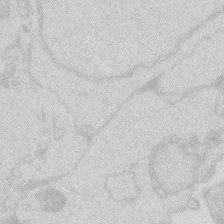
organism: Zebrafish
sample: Macrophage